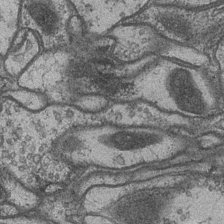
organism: Drosophila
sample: Optic medulla